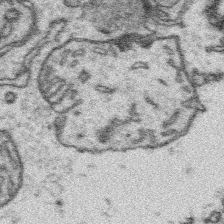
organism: Platynereis dumerilii